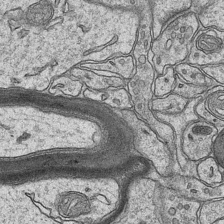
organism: Mouse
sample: CA1 Hippocampus